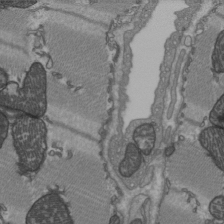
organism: C57BL Mouse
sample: Heart